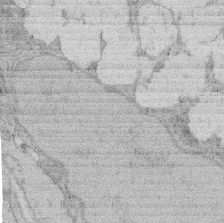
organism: Rat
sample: Salivary granule